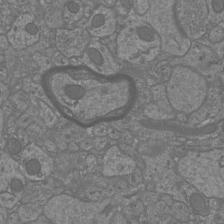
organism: Mouse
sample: Cortical neurons